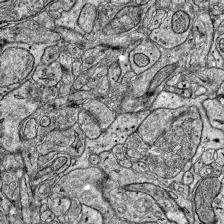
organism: Mouse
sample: Visual Cortex